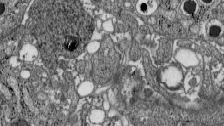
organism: C57BL Mouse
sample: Pancreatic islet